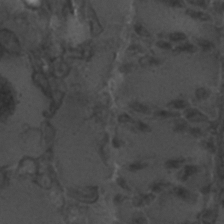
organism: C. elegans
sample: C. elegans embryo